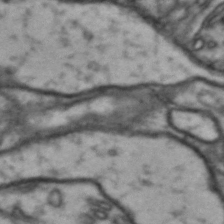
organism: Drosophila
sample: Brain